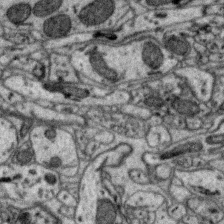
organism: Zebra finch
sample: Brain